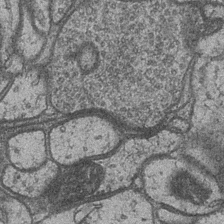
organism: Drosophila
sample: Optic medulla